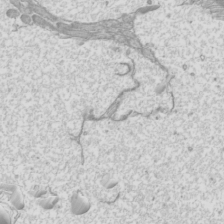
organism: Mouse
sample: Cilia; mouse epididymis